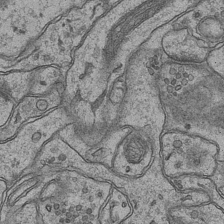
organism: Mouse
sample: CA1 Hippocampus